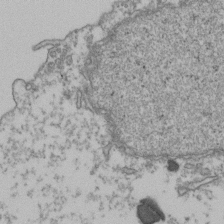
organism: Human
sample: Activated Jurkat CD4+ T cells